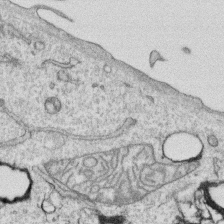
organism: Human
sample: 1205lu cells